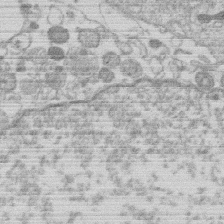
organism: Human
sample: Macrophage cells